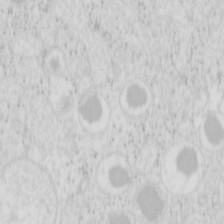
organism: Mouse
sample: Pancreas